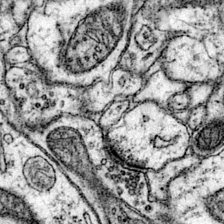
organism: Mouse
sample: Primary visual cortex